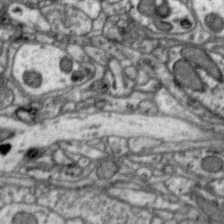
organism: Zebra finch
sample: Brain